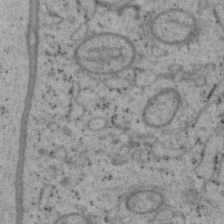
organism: Human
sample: HeLa cells